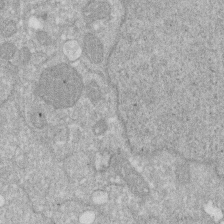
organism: Human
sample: HIV infected U937 cells